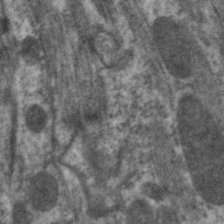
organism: C. elegans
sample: Pharynx